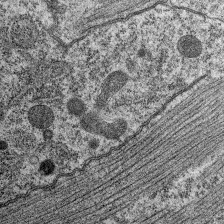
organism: C. elegans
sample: Pharynx